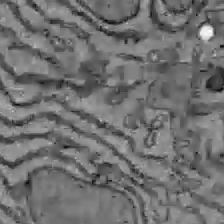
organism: C57BL Mouse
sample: Liver